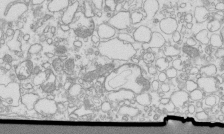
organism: Mouse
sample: Macrophages